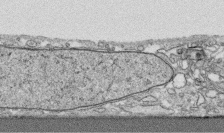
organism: Human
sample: CRL-1474